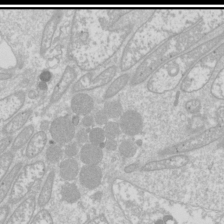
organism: Drosophila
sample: Cell division; meiosis; drosophila spermatocytes